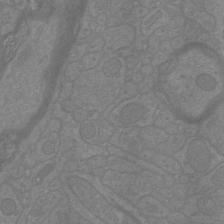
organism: Mouse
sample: Cortical neurons